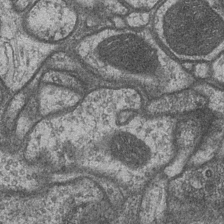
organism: Drosophila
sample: Optic medulla